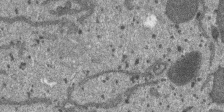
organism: Human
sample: Lung epithelial cells infected with SARS-CoV-2